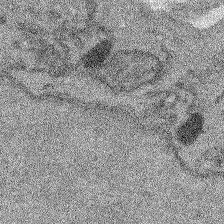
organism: Human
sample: HeLa cells